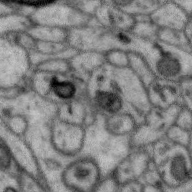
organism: Zebra finch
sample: Brain